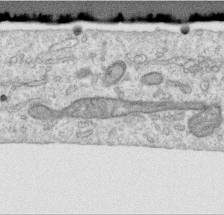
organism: Human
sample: Centriole in RPE cells